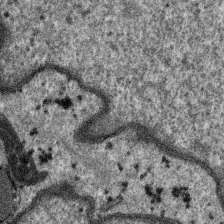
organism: Human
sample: Lung epithelial cells infected with SARS-CoV-2